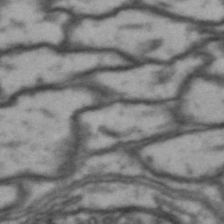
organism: Drosophila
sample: Brain